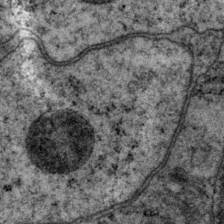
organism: P. pacificus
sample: Pharynx